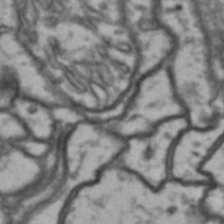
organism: Drosophila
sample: Brain